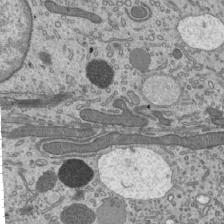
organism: Mouse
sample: Mouse epididymis efferent ductule cilia